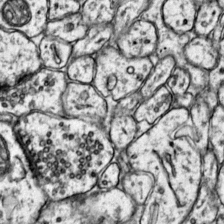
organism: Mouse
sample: Primary visual cortex